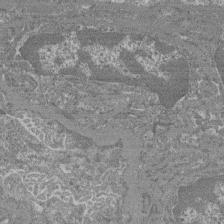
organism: Mouse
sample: Glomerulus